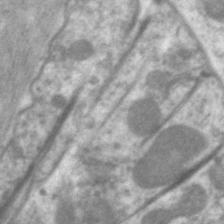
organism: C. elegans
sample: Pharynx